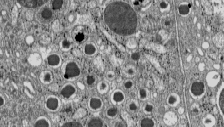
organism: C57BL Mouse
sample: Pancreatic islet